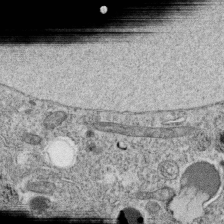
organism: C. elegans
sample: C. elegans oocyte; sperm cells